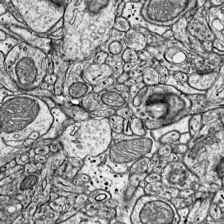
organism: Mouse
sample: Visual Cortex